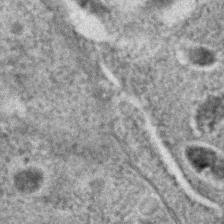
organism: C. elegans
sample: C. elegans embryo